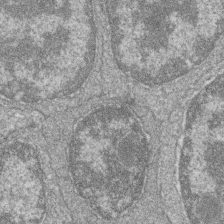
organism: Zebrafish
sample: Cilia; retinal pigment epithelium